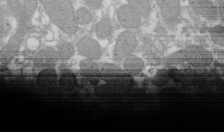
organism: Xenopus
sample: Cilia; centrioles in frog embryo cells